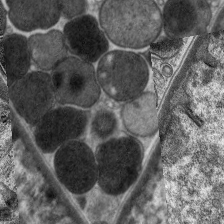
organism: C. elegans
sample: Pharynx